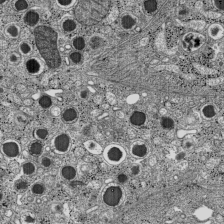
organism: C57BL Mouse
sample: Pancreatic islet